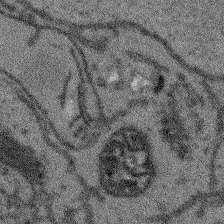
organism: Arabidopsis thaliana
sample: Root tip